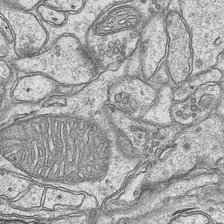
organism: Mouse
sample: CA1 Hippocampus